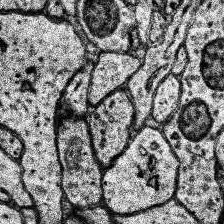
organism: Human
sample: Temporal Lobe